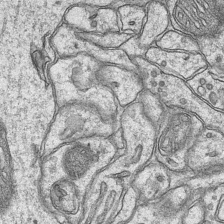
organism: Mouse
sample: CA1 Hippocampus